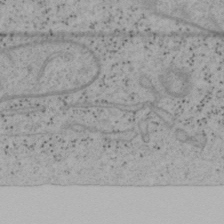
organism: Human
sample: HeLa cells